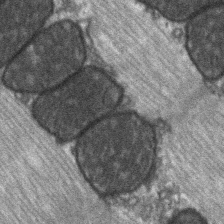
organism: C57BL Mouse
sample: Soleus